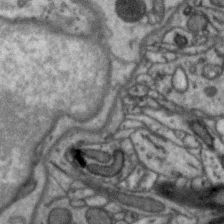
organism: Zebra finch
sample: Brain